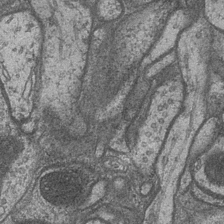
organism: Drosophila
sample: Optic medulla